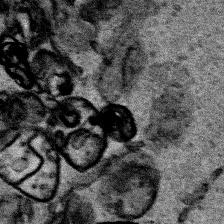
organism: Human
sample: Mitochondria in HCT116 cells